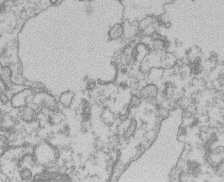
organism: Mouse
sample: T cell stromal cell synapse